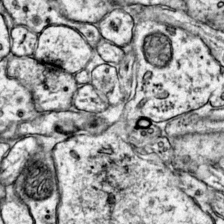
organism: Mouse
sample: Primary visual cortex